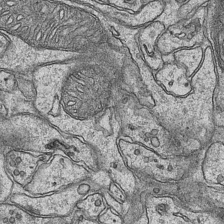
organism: Mouse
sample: CA1 Hippocampus